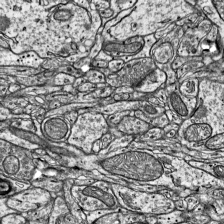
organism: Mouse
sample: Visual Cortex